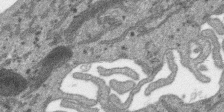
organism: Human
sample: Lung epithelial cells infected with SARS-CoV-2